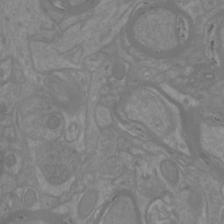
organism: Mouse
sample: Cortical neurons